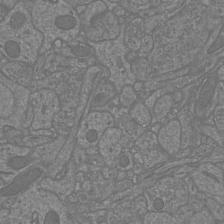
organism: Mouse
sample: Cortical neurons